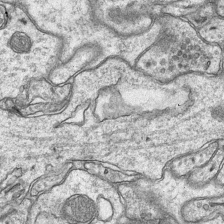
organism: Mouse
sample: CA1 Hippocampus